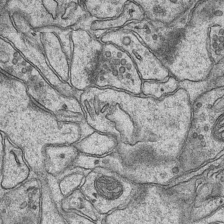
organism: Mouse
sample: CA1 Hippocampus